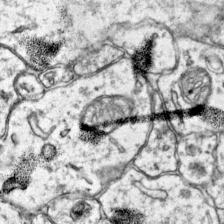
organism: Mouse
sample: Primary visual cortex